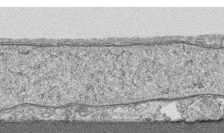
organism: Human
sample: CRL-1474